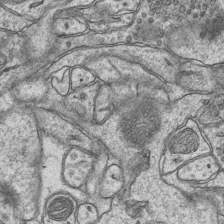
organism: Mouse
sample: CA1 Hippocampus